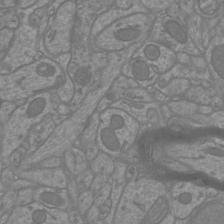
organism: Mouse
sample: Cortical neurons